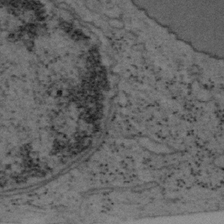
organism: Human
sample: HeLa cells